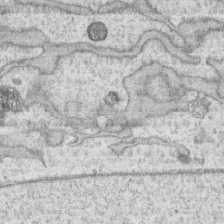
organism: Human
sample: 1205lu cells